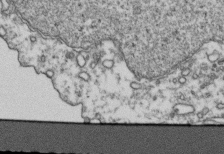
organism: Human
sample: Activated Jurkat CD4+ T cells